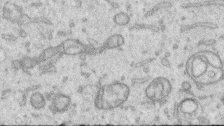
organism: Human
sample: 1205lu cells